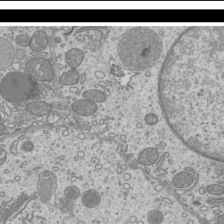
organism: Mouse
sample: Cilia; mouse epididymis